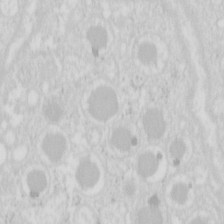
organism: Mouse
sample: Pancreas